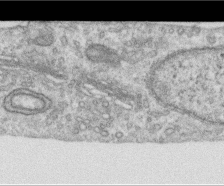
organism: Human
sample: Centriole in RPE cells